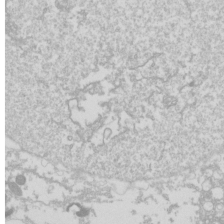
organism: Drosophila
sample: Cell division; meiosis; drosophila spermatocytes